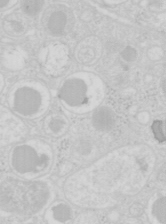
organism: Mouse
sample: Pancreas